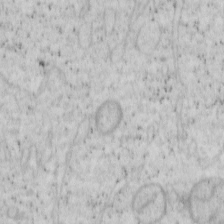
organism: Human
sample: HeLa cells